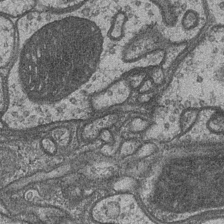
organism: Drosophila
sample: Optic medulla